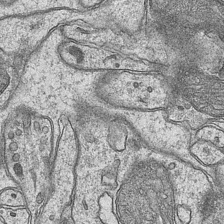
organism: Mouse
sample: CA1 Hippocampus